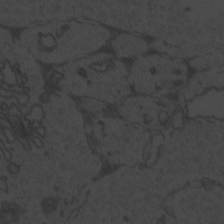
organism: Zebrafish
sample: Macrophage infected with Toxoplasma gondii